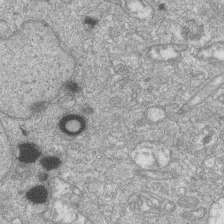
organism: Human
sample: HeLa cell HIV synapse